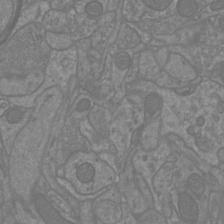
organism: Mouse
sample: Cortical neurons